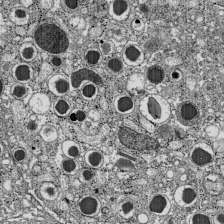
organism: C57BL Mouse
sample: Pancreatic islet